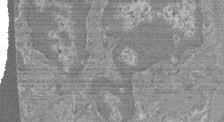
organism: Mouse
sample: Glomerulus